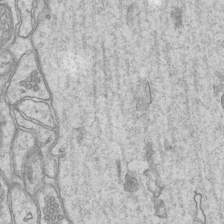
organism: Mouse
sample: CA1 Hippocampus